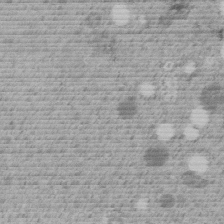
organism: C. elegans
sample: C. elegans embryo early stage